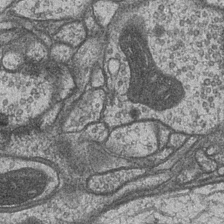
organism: Drosophila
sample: Optic medulla